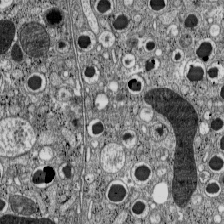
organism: C57BL Mouse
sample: Pancreatic islet